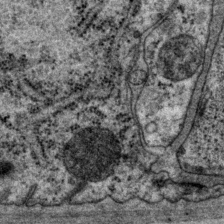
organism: P. pacificus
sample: Pharynx